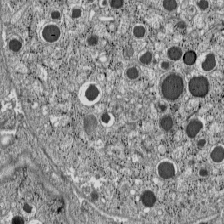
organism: C57BL Mouse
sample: Pancreatic islet